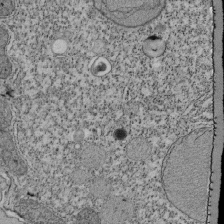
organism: Tetrahymena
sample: Cilia in tetrahymena